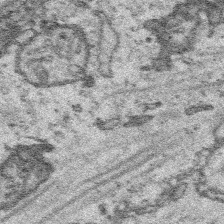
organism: Platynereis dumerilii